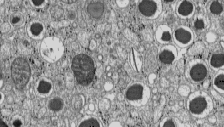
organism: C57BL Mouse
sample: Pancreatic islet